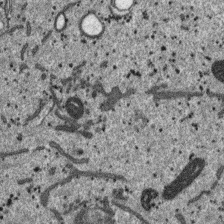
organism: Human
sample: Lung epithelial cells infected with SARS-CoV-2